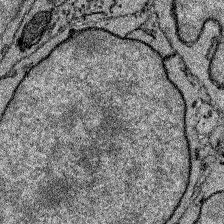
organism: Zebrafish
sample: Larval olfactory bulb